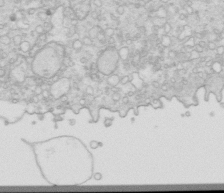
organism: Mouse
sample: Multiciliated cells